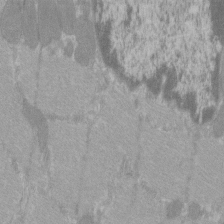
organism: C57BL Mouse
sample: Tibialis anterior muscle cell